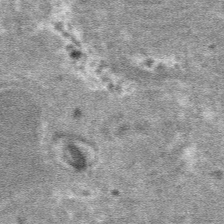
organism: Mouse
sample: Mouse hepatocytes